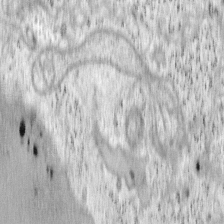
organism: Human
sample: HeLa cells